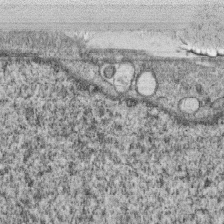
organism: African green monkey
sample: Vero E6 cells infected with SARS-CoV-2